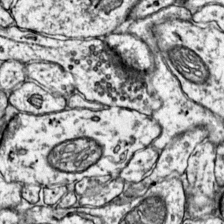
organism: Mouse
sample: Primary visual cortex